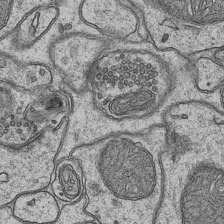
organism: Mouse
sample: CA1 Hippocampus